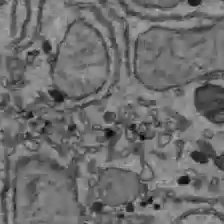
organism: C57BL Mouse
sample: Liver